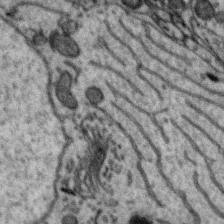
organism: Zebra finch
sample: Brain